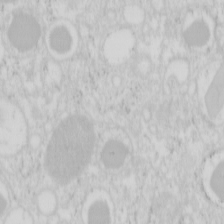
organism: Mouse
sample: Pancreas